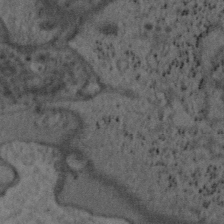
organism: Human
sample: HeLa cells